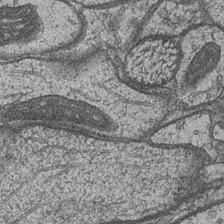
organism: Drosophila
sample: Optic medulla